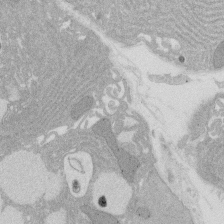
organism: Rat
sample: Salivary granule